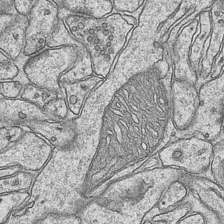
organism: Mouse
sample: CA1 Hippocampus